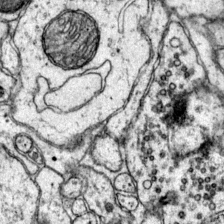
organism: Mouse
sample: Primary visual cortex